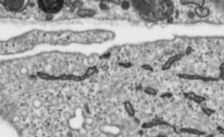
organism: Toxoplasma gondii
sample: Parasites in a vacuole inside a host cell